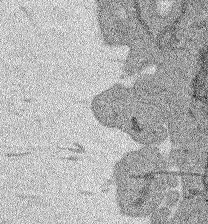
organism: Human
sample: HeLa cells